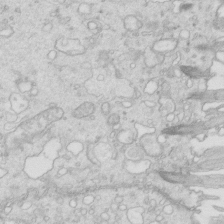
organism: Mouse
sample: Multiciliated cells